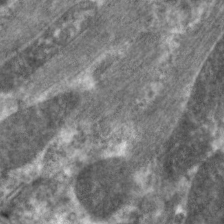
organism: C. elegans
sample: Pharynx